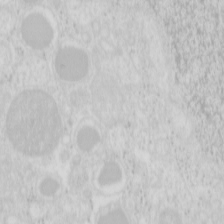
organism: Mouse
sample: Pancreas